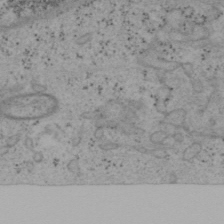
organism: Human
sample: HeLa cells